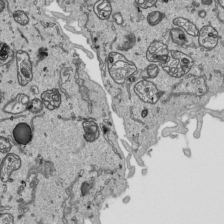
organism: Human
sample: Mitochondria in HCT116 cells